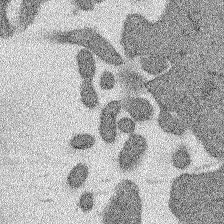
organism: Human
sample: HeLa cells